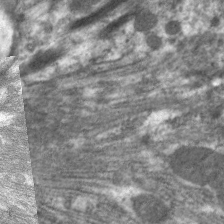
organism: C. elegans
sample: Pharynx